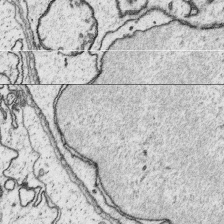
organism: Platynereis dumerilii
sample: Parapodia